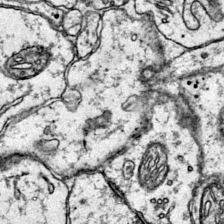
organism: Mouse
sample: Primary visual cortex